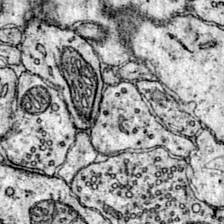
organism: Mouse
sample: Primary visual cortex